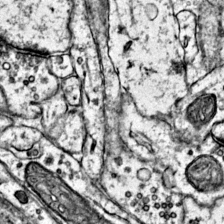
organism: Mouse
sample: Primary visual cortex